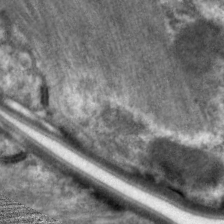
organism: C. elegans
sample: Pharynx